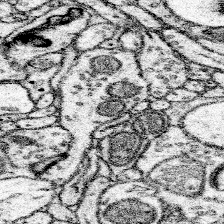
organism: Mouse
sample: Somatosensory cortex neuropil